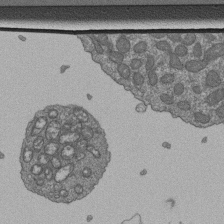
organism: Human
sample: Retinal organoid Rod and Cone cells